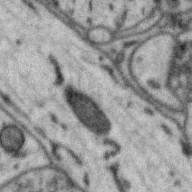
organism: Zebra finch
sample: Brain